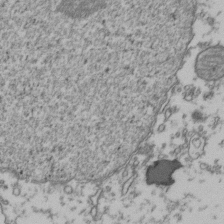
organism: Human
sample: Activated Jurkat CD4+ T cells